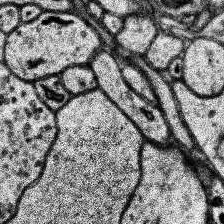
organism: Human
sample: Temporal Lobe